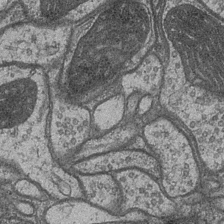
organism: Drosophila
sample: Optic medulla